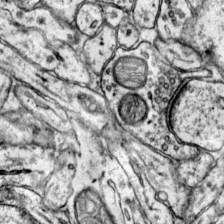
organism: Mouse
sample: Primary visual cortex